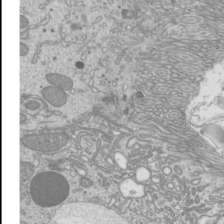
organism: Mouse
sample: Cilia; mouse epididymis